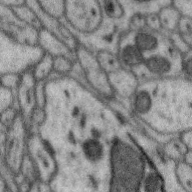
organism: Zebra finch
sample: Brain